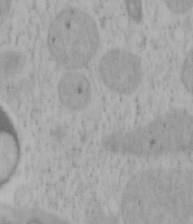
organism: Mouse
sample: OT-I killer T cells with ID8 ovarian cancer cells